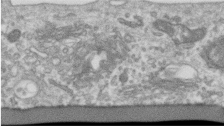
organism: Human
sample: Centriole in RPE cells